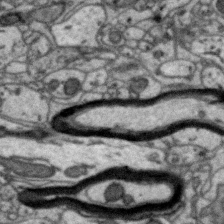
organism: Zebra finch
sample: Brain